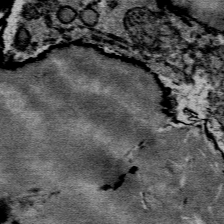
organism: Mouse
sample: Mouse Salivary gland